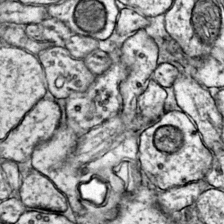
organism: Mouse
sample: Primary visual cortex